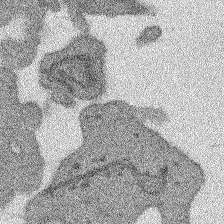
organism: Human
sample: HeLa cells